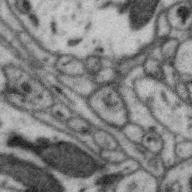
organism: Zebra finch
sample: Brain